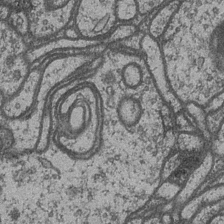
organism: Drosophila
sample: Optic medulla